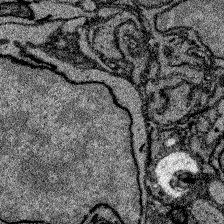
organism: Zebrafish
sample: Larval olfactory bulb